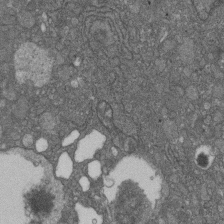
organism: Drosophila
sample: Nephrocyte